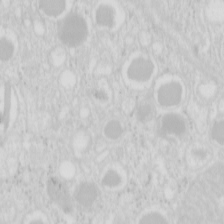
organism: Mouse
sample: Pancreas